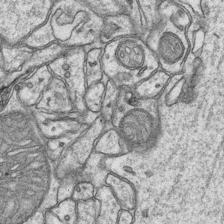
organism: Mouse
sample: CA1 Hippocampus